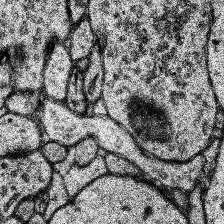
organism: Human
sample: Temporal Lobe